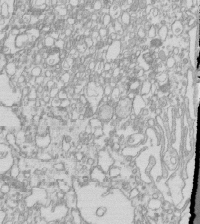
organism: Mouse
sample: Macrophages